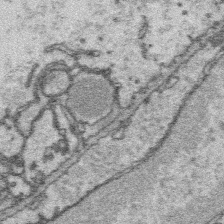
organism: Platynereis dumerilii